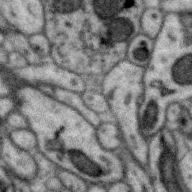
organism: Zebra finch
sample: Brain